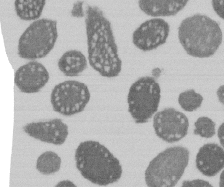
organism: E. coli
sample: Bacterial nucleoid